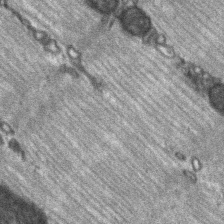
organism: C57BL Mouse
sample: Soleus